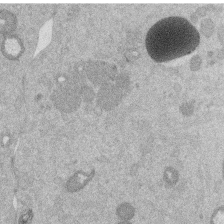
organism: Mouse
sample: Dividing mouse embryo 1 cell stage